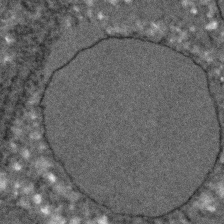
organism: C. elegans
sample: C. elegans embryo